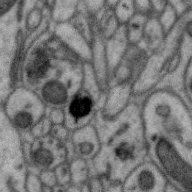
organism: Zebra finch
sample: Brain